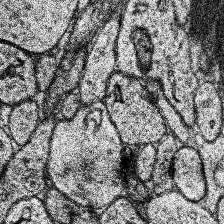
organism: Human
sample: Temporal Lobe